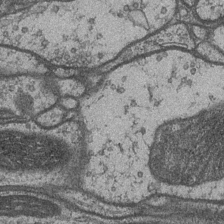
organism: Drosophila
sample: Optic medulla